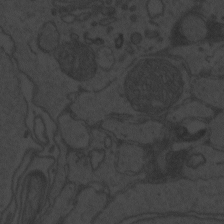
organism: Zebrafish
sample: Macrophage infected with Toxoplasma gondii